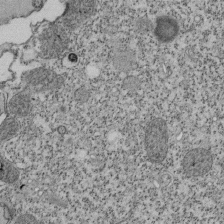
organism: Tetrahymena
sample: Cilia in tetrahymena